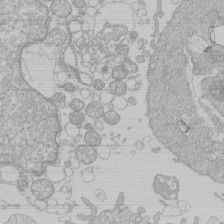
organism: Human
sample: Macrophage cells